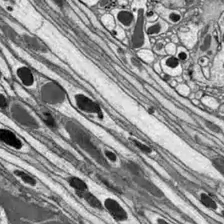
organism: Drosophila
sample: Optic lobe